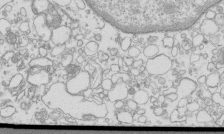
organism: Mouse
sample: Macrophages